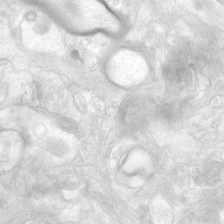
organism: Human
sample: Neocortex